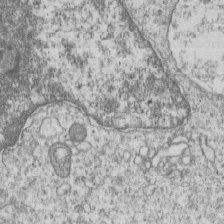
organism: Human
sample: MDA-MB-231 cells